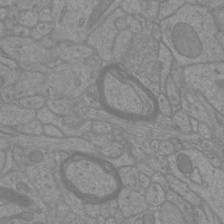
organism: Mouse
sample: Cortical neurons